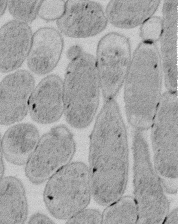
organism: E. coli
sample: Bacterial nucleoid